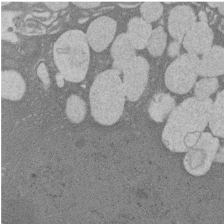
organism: Rat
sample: Salivary granule